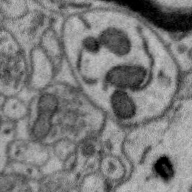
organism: Zebra finch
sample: Brain